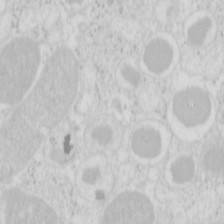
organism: Mouse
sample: Pancreas